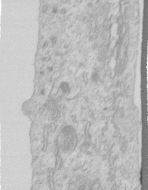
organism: Human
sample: Centriole in RPE cells